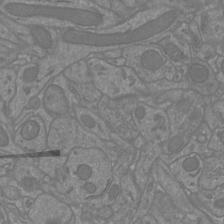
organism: Mouse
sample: Cortical neurons